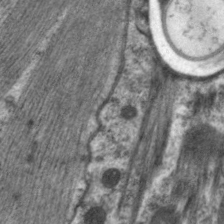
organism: C. elegans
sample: Pharynx